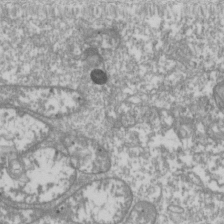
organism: Drosophila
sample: Cell division; meiosis; drosophila spermatocytes